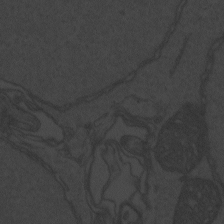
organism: Zebrafish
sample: Macrophage infected with Toxoplasma gondii